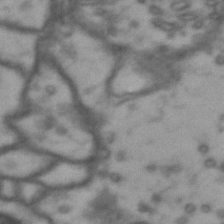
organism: Drosophila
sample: Brain